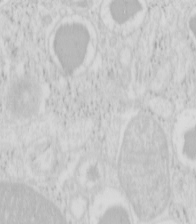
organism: Mouse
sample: Pancreas